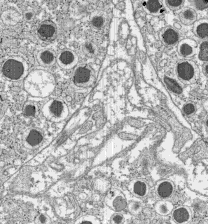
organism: C57BL Mouse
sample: Pancreatic islet